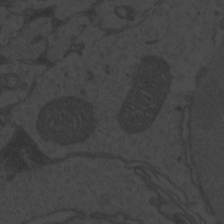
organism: Zebrafish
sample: Macrophage infected with Toxoplasma gondii